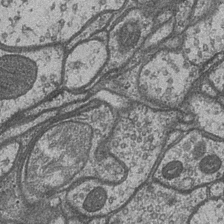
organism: Drosophila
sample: Optic medulla